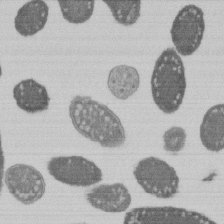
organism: E. coli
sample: Bacterial nucleoid